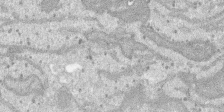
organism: Human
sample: Lung epithelial cells infected with SARS-CoV-2